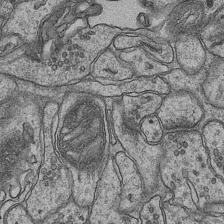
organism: Mouse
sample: CA1 Hippocampus